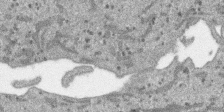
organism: Human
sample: Lung epithelial cells infected with SARS-CoV-2